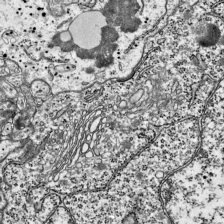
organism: Mouse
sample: Visual Cortex